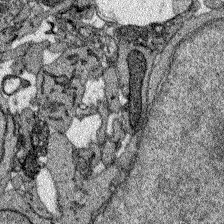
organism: Zebrafish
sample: Larval olfactory bulb